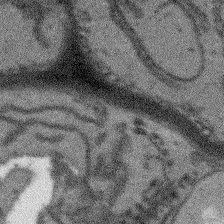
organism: Arabidopsis thaliana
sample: Root tip